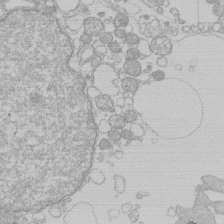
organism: Human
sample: Macrophage cells